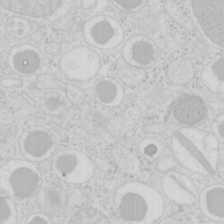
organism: Mouse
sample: Pancreas